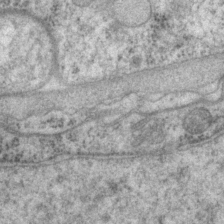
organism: P. pacificus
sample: Pharynx